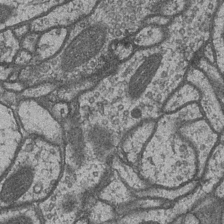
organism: Drosophila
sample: Optic medulla